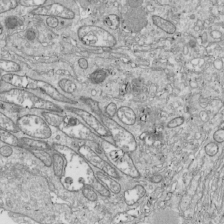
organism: Drosophila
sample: Cell division; meiosis; drosophila spermatocytes